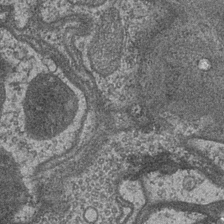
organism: Drosophila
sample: Optic medulla